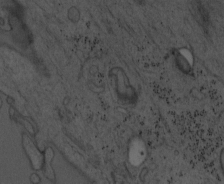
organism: Mouse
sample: OT-I killer T cells with ID8 ovarian cancer cells